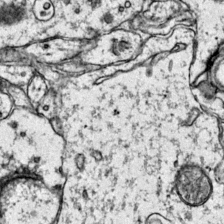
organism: Mouse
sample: Primary visual cortex